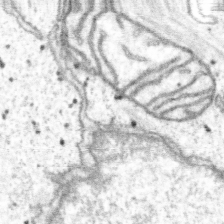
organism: Human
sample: HeLa cells